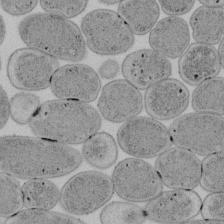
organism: E. coli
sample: Bacterial nucleoid